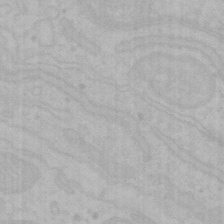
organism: Mouse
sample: Choroid plexus